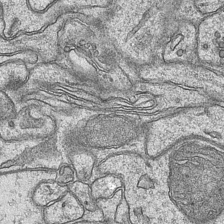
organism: Mouse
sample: CA1 Hippocampus